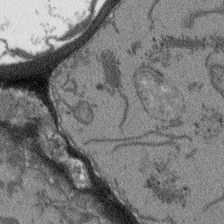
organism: Arabidopsis thaliana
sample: Root tip